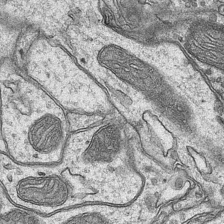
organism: Mouse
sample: CA1 Hippocampus